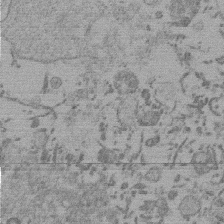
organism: Mouse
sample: Dividing mouse embryo 1 cell stage